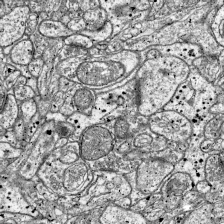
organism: Mouse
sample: Visual Cortex